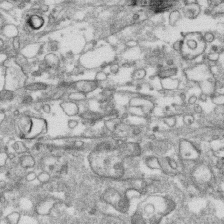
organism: Human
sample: CRL-1474